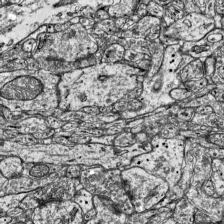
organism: Mouse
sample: Visual Cortex